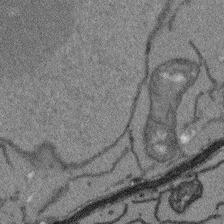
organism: Arabidopsis thaliana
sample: Root tip